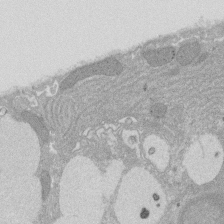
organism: Rat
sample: Salivary granule